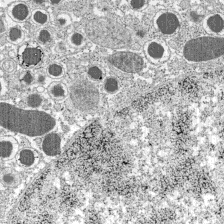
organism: C57BL Mouse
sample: Pancreatic islet